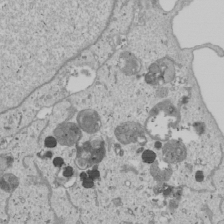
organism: Human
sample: Mitochondria in U2OS cells